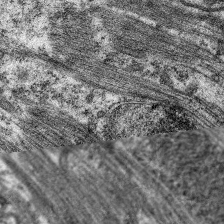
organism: C. elegans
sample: Pharynx